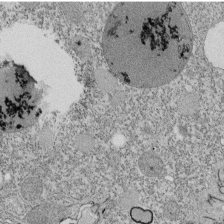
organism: Tetrahymena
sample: Cilia in tetrahymena